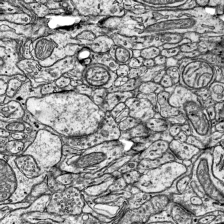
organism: Mouse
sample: Visual Cortex